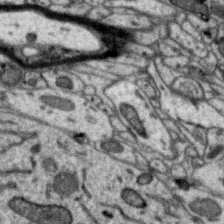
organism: Zebra finch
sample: Brain